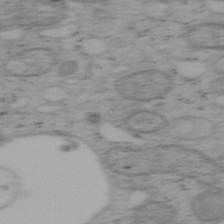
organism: Mouse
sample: OT-I killer T cells with ID8 ovarian cancer cells